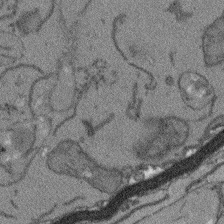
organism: Arabidopsis thaliana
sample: Root tip